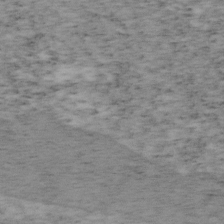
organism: Mouse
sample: OT-I killer T cells with ID8 ovarian cancer cells